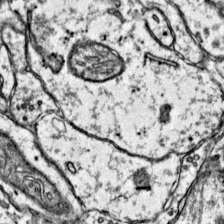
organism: Mouse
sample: Primary visual cortex